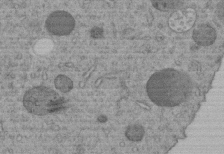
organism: C. elegans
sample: C. elegans embryo early stage